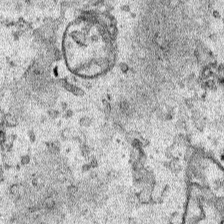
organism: Human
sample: Mitochondria in HCT116 cells